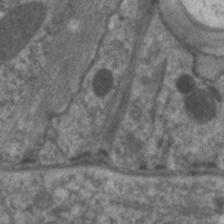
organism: C. elegans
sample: Pharynx